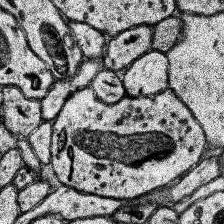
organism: Human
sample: Temporal Lobe